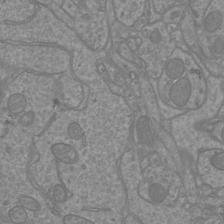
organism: Mouse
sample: Cortical neurons